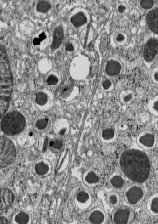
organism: C57BL Mouse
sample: Pancreatic islet